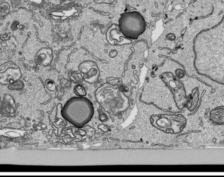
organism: Human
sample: Mitochondria in HCT116 cells